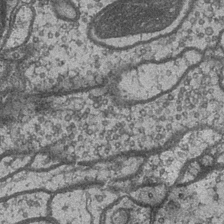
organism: Drosophila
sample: Optic medulla